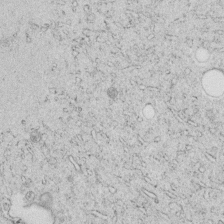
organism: C. elegans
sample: C. elegans embryo early stage